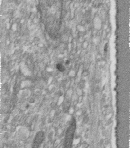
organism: Human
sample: Centriole in fibroblast cells